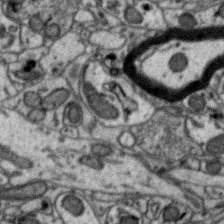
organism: Zebra finch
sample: Brain